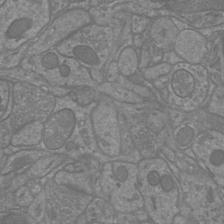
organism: Mouse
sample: Cortical neurons